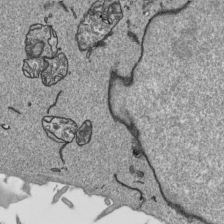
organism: Human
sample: Mitochondria in HCT116 cells